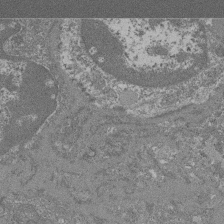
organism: Mouse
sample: Glomerulus